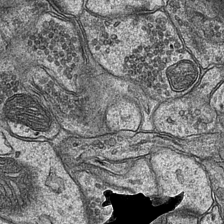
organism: Mouse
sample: CA1 Hippocampus